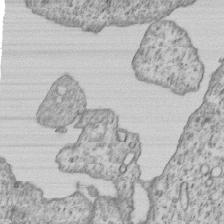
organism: Human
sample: MDA-MB-231 cells